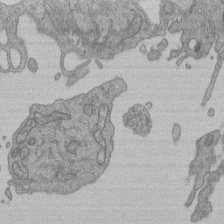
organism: Human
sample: Retinal organoid Rod and Cone cells